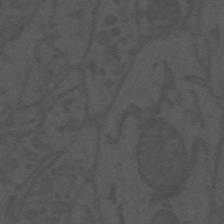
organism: Mouse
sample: Suprachiasmatic nucleus